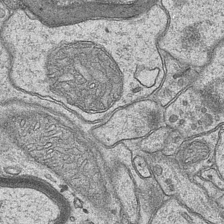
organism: Mouse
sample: CA1 Hippocampus